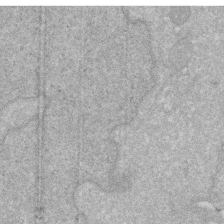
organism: Human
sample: HIV infected U937 cells